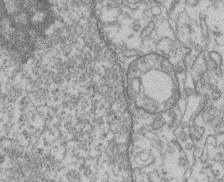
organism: Mouse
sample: T cell stromal cell synapse